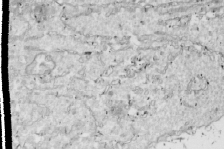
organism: Drosophila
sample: Cell division; meiosis; drosophila spermatocytes